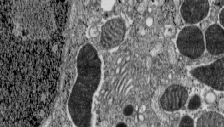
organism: C57BL Mouse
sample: Pancreatic islet